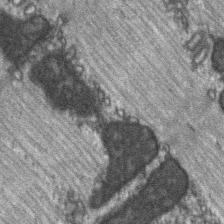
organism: C57BL Mouse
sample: Soleus